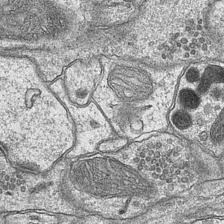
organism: Mouse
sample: CA1 Hippocampus